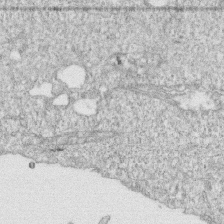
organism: Human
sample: HeLa cell HIV synapse